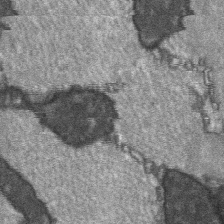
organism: C57BL Mouse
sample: Soleus